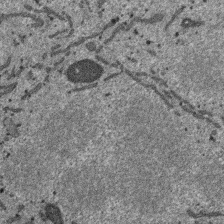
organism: Human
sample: Lung epithelial cells infected with SARS-CoV-2